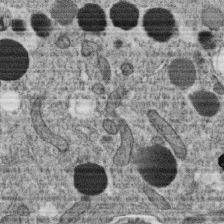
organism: C. elegans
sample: C. elegans oocyte; sperm cells